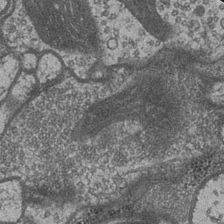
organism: Drosophila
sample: Optic medulla